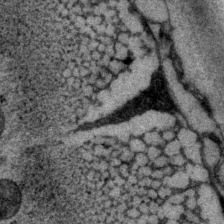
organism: P. pacificus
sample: Pharynx